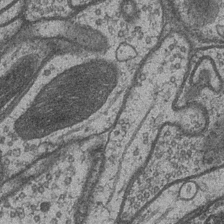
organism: Drosophila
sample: Optic medulla